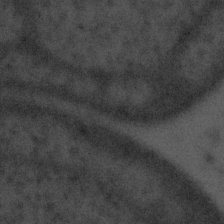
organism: Tuwongella immobilis